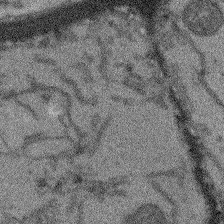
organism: Arabidopsis thaliana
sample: Root tip